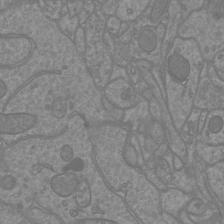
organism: Mouse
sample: Cortical neurons